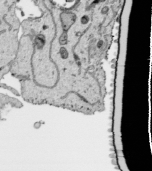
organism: Human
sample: Mitochondria in HCT116 cells